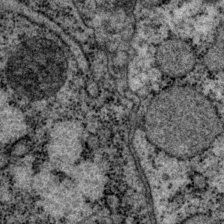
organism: P. pacificus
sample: Pharynx